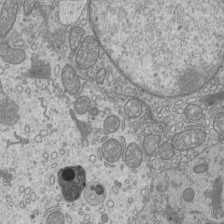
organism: Mouse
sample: Cilia; mouse epididymis